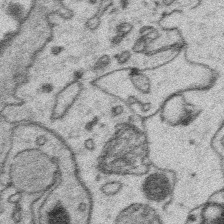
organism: Platynereis dumerilii